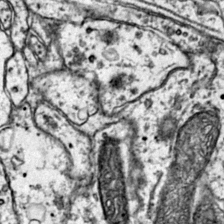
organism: Mouse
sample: Primary visual cortex